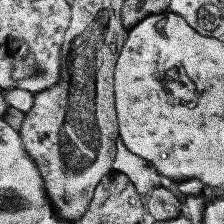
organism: Human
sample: Temporal Lobe